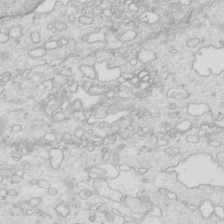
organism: Mouse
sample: Multiciliated cells